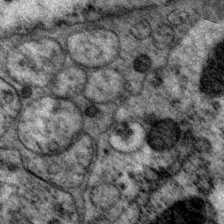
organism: P. pacificus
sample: Pharynx